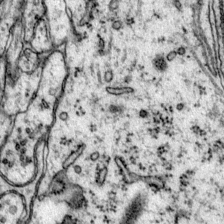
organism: Mouse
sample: Primary visual cortex